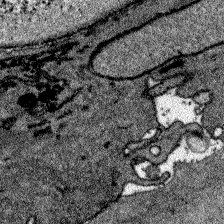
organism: Zebrafish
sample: Larval olfactory bulb